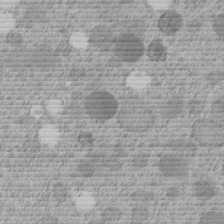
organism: C. elegans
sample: C. elegans embryo early stage